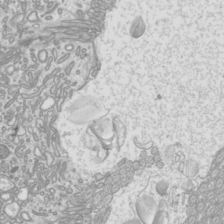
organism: Mouse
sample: Cilia; mouse epididymis